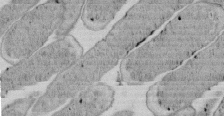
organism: E. coli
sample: Bacterial nucleoid